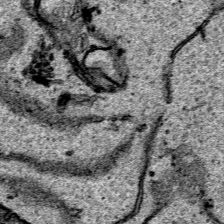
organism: Human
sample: Mitochondria in HCT116 cells